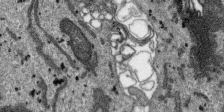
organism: Human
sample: Lung epithelial cells, uninfected (mock) control